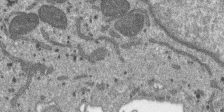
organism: Human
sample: Lung epithelial cells infected with SARS-CoV-2